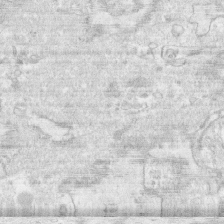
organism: Human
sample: CRL-1474